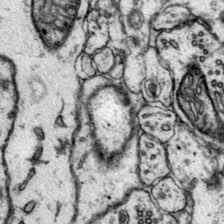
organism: Mouse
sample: Primary visual cortex